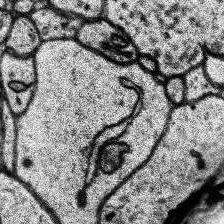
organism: Human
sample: Temporal Lobe